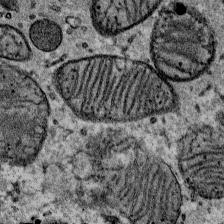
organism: Mouse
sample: Mouse Salivary gland